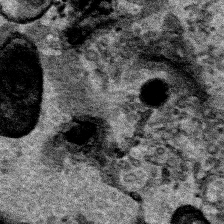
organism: Human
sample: Mitochondria in HCT116 cells